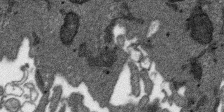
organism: Human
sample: Lung epithelial cells infected with SARS-CoV-2